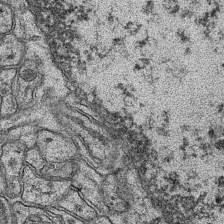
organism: Mouse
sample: CA1 Hippocampus